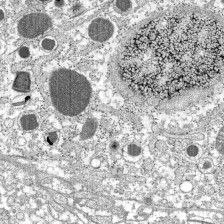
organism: C57BL Mouse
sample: Pancreatic islet